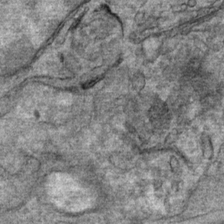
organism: Mouse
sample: Mouse Salivary gland